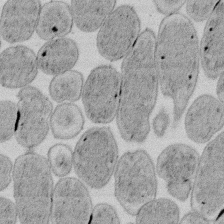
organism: E. coli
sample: Bacterial nucleoid